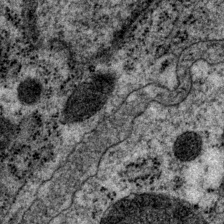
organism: P. pacificus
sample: Pharynx